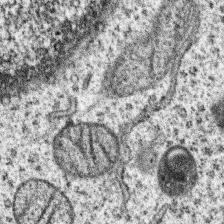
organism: Human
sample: HeLa cells